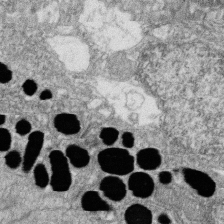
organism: Zebrafish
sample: Cilia; retinal pigment epithelium